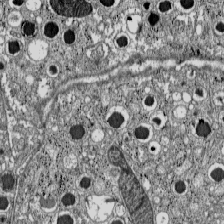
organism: C57BL Mouse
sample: Pancreatic islet